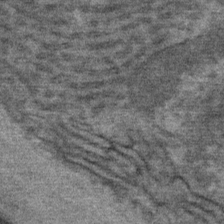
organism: Mouse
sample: Mouse Salivary gland